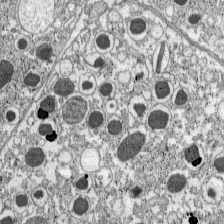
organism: C57BL Mouse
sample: Pancreatic islet